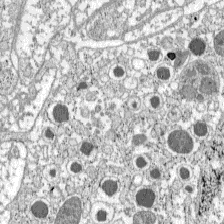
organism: C57BL Mouse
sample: Pancreatic islet